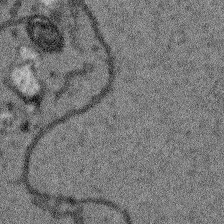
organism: Arabidopsis thaliana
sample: Root tip